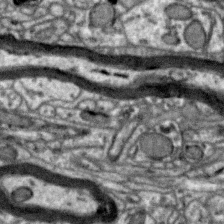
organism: Zebra finch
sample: Brain